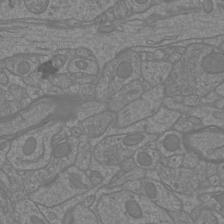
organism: Mouse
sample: Cortical neurons